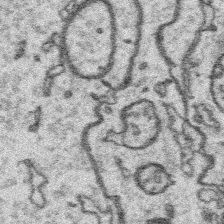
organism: Platynereis dumerilii